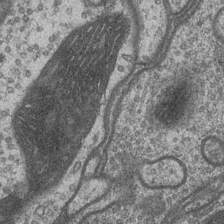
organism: Drosophila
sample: Optic medulla